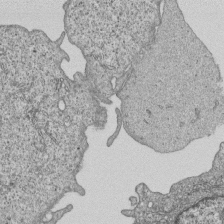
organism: Human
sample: MDA-MB-231 cells